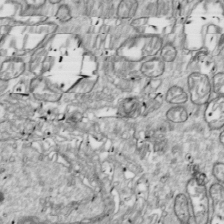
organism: Drosophila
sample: Cell division; meiosis; drosophila spermatocytes